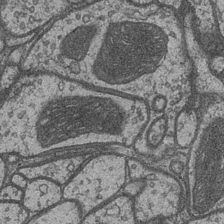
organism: Drosophila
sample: Optic medulla